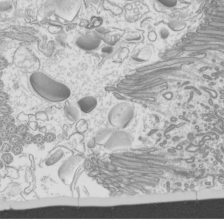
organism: Mouse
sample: Cilia; mouse epididymis